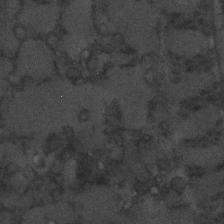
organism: C. elegans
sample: C. elegans embryo